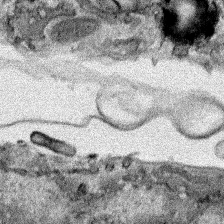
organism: Human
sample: Mitochondria in HCT116 cells